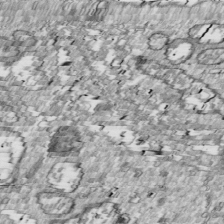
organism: Drosophila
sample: Cell division; meiosis; drosophila spermatocytes